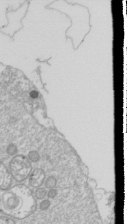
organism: Drosophila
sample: Cell division; meiosis; drosophila spermatocytes